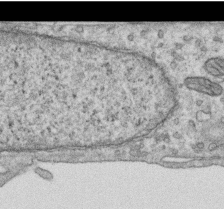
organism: Human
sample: Centriole in RPE cells